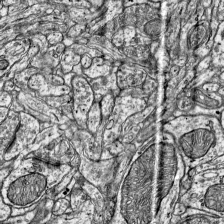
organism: Mouse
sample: Visual Cortex